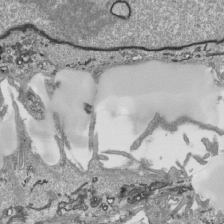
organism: Human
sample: Mitochondria in HCT116 cells